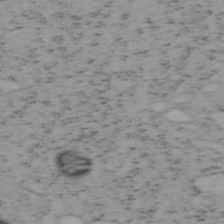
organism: Mouse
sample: OT-I killer T cells with ID8 ovarian cancer cells